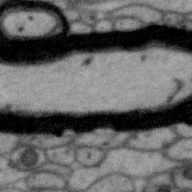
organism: Zebra finch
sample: Brain